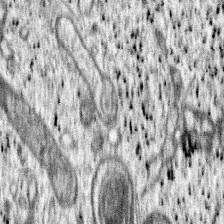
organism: Human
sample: HeLa cells